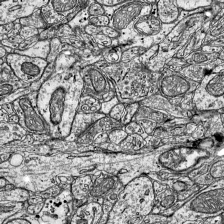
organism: Mouse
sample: Visual Cortex